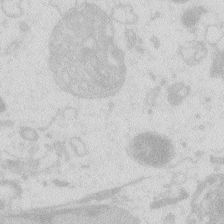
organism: Zebrafish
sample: Macrophage